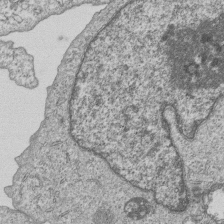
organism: Human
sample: MDA-MB-231 cells